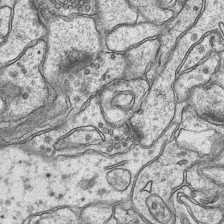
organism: Mouse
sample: CA1 Hippocampus